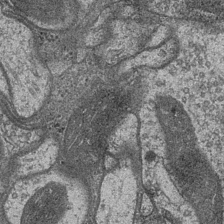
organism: Drosophila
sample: Optic medulla